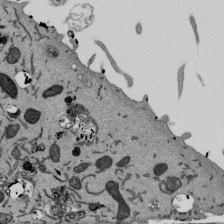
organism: Mouse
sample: ED-1 cell nuclei; centrioles